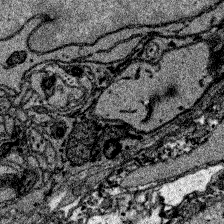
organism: Zebrafish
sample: Larval olfactory bulb